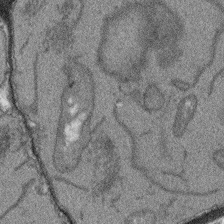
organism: Arabidopsis thaliana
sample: Root tip